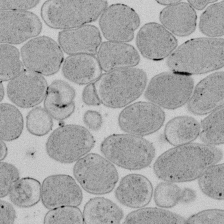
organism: E. coli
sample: Bacterial nucleoid